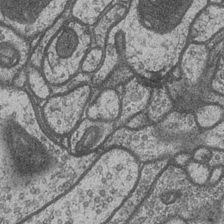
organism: Drosophila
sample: Optic medulla